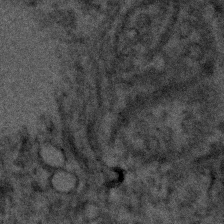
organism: Human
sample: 1205lu cells